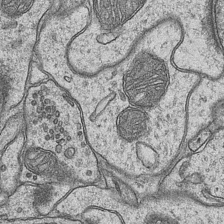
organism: Mouse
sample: CA1 Hippocampus